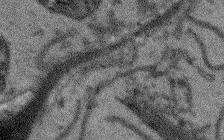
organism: Arabidopsis thaliana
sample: Root tip